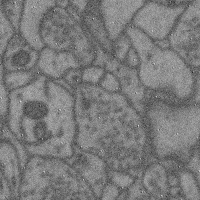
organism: Mouse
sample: Cerebral cortex